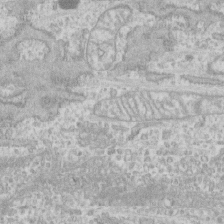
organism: Human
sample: CRL-1474